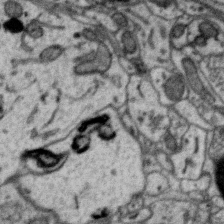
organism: Zebra finch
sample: Brain